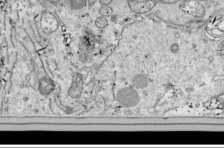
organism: Drosophila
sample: Cell division; meiosis; drosophila spermatocytes